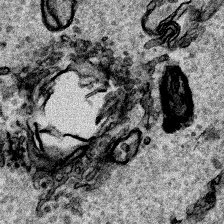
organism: Human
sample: Mitochondria in HCT116 cells